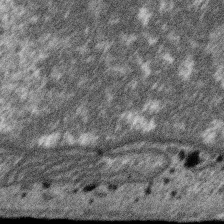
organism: Human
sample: Lung epithelial cells infected with SARS-CoV-2